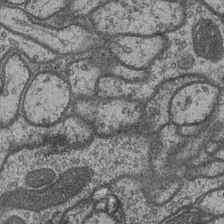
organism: Drosophila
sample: Optic medulla